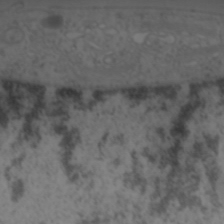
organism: Human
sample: HeLa cells